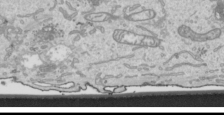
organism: Human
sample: Mitochondria in HCT116 cells